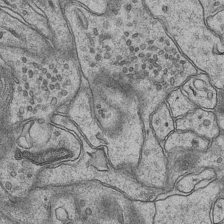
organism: Mouse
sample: CA1 Hippocampus